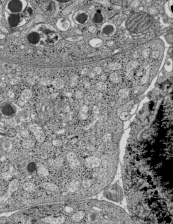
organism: C57BL Mouse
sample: Pancreatic islet